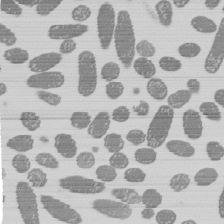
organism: E. coli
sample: Bacterial nucleoid